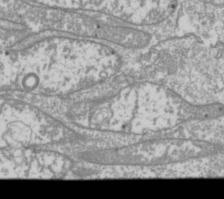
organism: Drosophila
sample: Cell division; meiosis; drosophila spermatocytes